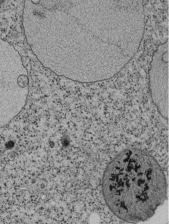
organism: Tetrahymena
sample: Cilia in tetrahymena